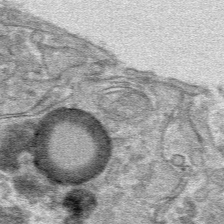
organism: Mouse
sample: Mouse hepatocytes